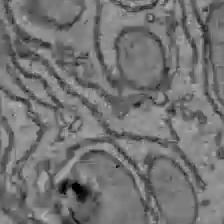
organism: C57BL Mouse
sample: Liver